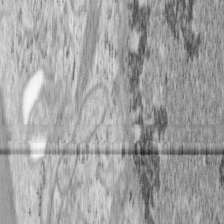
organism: Human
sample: HeLa cells